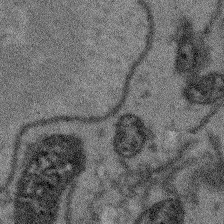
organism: Arabidopsis thaliana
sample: Root tip